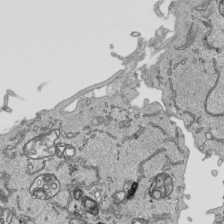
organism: Human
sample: Mitochondria in HCT116 cells